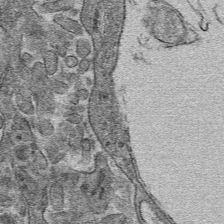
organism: Mouse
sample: Mouse hepatocytes